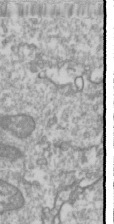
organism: Drosophila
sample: Cell division; meiosis; drosophila spermatocytes